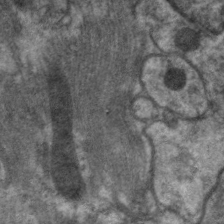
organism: C. elegans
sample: Pharynx